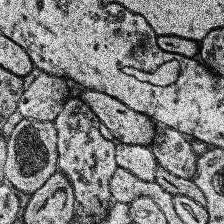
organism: Human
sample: Temporal Lobe